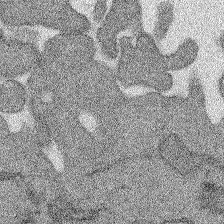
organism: Human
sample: HeLa cells